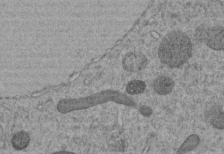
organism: C. elegans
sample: C. elegans embryo early stage